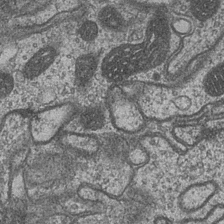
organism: Drosophila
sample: Optic medulla